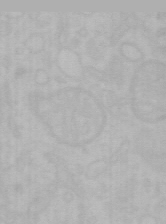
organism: Mouse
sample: Choroid plexus